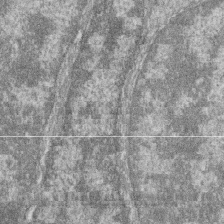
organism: Zebrafish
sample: Cilia; retinal pigment epithelium